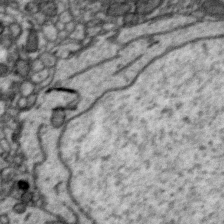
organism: Zebra finch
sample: Brain